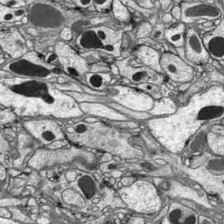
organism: Drosophila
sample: Optic lobe